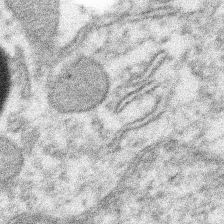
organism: Xenopus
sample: Cilia; centrioles in frog embryo cells